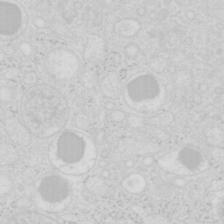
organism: Mouse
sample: Pancreas